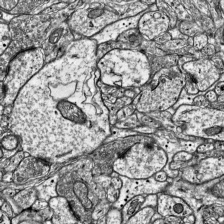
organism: Mouse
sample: Visual Cortex